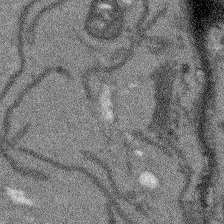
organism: Arabidopsis thaliana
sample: Root tip